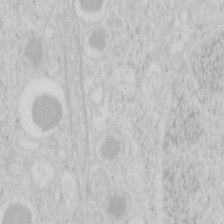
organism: Mouse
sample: Pancreas